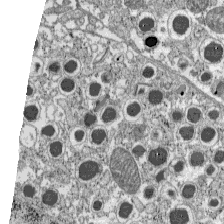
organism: C57BL Mouse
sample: Pancreatic islet